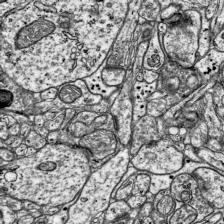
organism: Mouse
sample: Visual Cortex